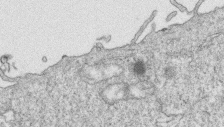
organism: Human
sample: HeLa cell HIV synapse